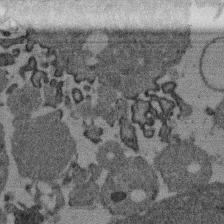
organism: Mouse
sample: Dividing mouse embryo 1 cell stage